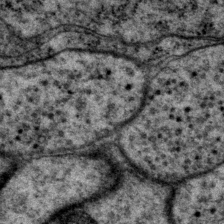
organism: P. pacificus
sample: Pharynx